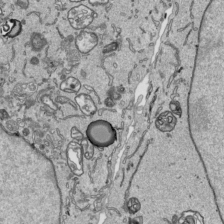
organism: Human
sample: Mitochondria in HCT116 cells